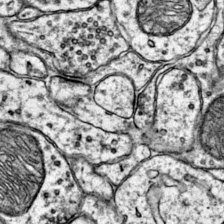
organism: Mouse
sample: Primary visual cortex